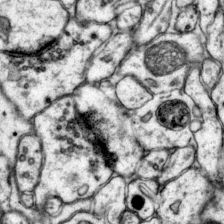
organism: Mouse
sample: Primary visual cortex